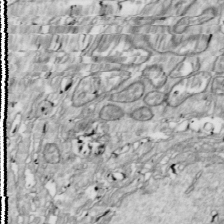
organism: Drosophila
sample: Cell division; meiosis; drosophila spermatocytes